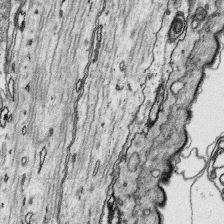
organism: Platynereis dumerilii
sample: Parapodia